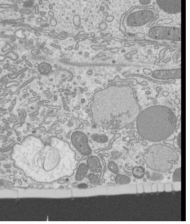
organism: Mouse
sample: Cilia; mouse epididymis